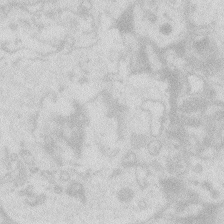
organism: Zebrafish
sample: Macrophage